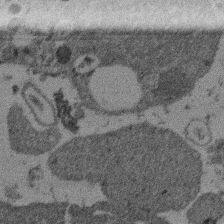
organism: Mouse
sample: Dividing mouse embryo 1 cell stage